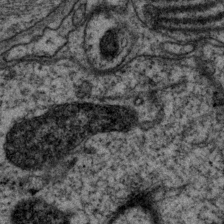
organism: P. pacificus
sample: Pharynx